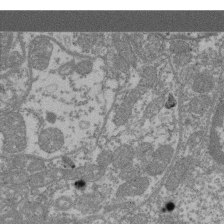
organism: Mouse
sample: Glomerulus